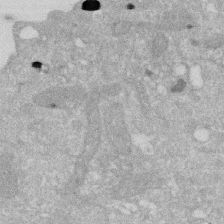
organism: Human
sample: HIV infected U937 cells